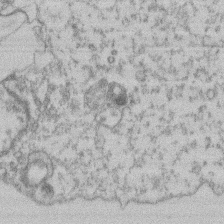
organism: Mouse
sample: T cell stromal cell synapse